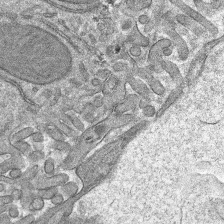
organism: Mouse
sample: Mouse hepatocytes